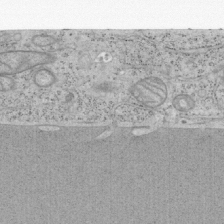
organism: Human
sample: HeLa cells